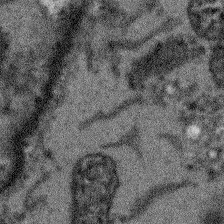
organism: Arabidopsis thaliana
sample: Root tip